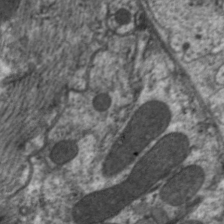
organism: C. elegans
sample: Pharynx